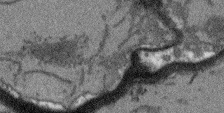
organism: Arabidopsis thaliana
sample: Root tip